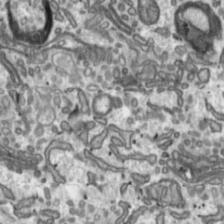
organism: Toxoplasma gondii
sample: Parasites in a vacuole inside a host cell